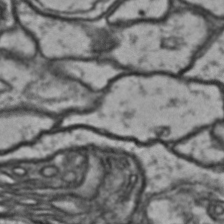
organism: Drosophila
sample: Brain